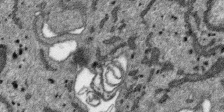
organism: Human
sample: Lung epithelial cells, uninfected (mock) control